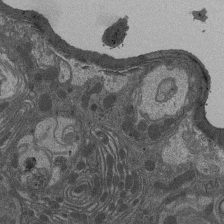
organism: Drosophila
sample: Antenna